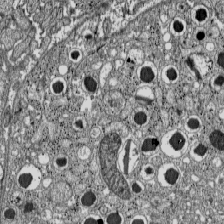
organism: C57BL Mouse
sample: Pancreatic islet